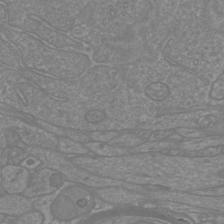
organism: Mouse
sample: Cortical neurons